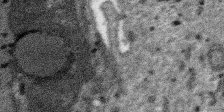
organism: Human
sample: Lung epithelial cells infected with SARS-CoV-2